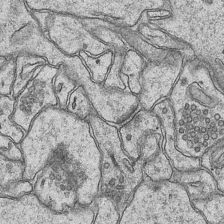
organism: Mouse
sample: CA1 Hippocampus